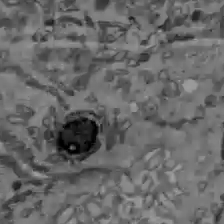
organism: C57BL Mouse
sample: Liver